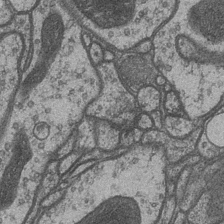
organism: Drosophila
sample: Optic medulla